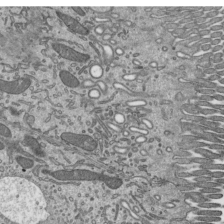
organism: Mouse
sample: Mouse epididymis efferent ductule cilia